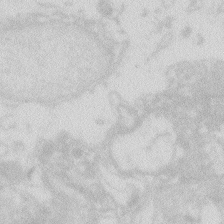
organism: Zebrafish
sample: Macrophage